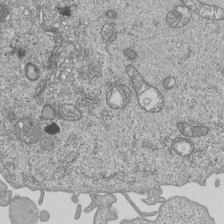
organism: Human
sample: MDA-MB-231 cells